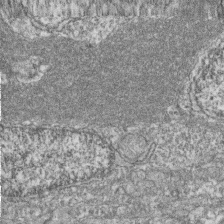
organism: Zebrafish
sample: Cilia; retinal pigment epithelium